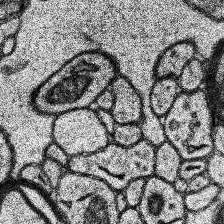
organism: Human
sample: Temporal Lobe